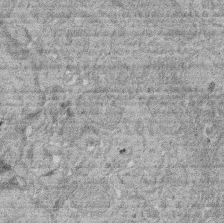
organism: Rat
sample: Salivary granule